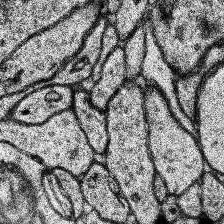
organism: Human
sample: Temporal Lobe